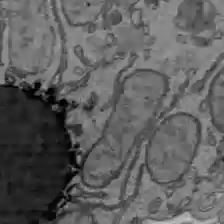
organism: C57BL Mouse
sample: Liver